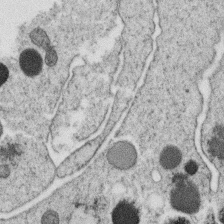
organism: C. elegans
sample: C. elegans oocyte; sperm cells